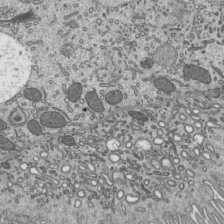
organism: Mouse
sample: Mouse epididymis efferent ductule cilia